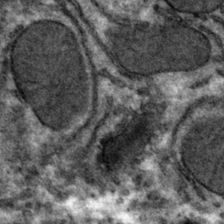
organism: Mouse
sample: Mouse hepatocytes